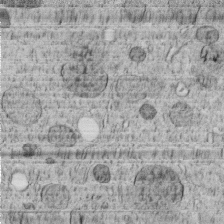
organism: C. elegans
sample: C. elegans embryo early stage